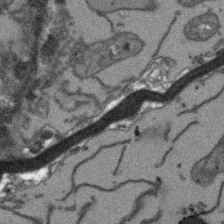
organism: Arabidopsis thaliana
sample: Root tip